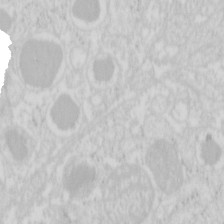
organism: Mouse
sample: Pancreas